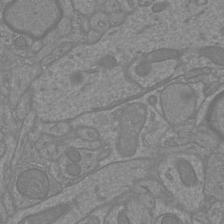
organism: Mouse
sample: Cortical neurons